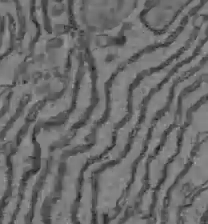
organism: C57BL Mouse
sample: Liver